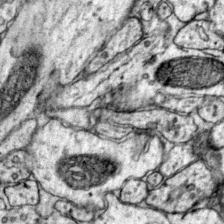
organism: Mouse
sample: Primary visual cortex